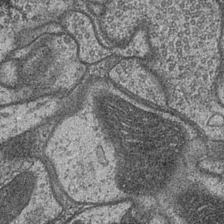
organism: Drosophila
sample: Optic medulla